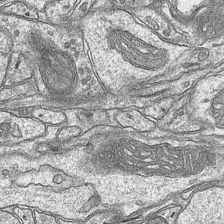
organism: Mouse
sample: CA1 Hippocampus